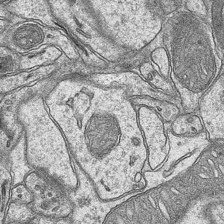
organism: Mouse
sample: CA1 Hippocampus